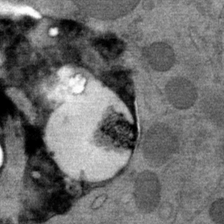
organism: Mouse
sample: Mouse Salivary gland